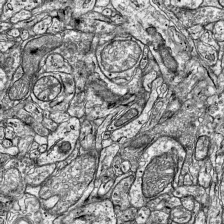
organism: Mouse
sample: Visual Cortex